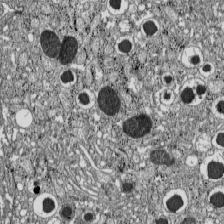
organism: C57BL Mouse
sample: Pancreatic islet